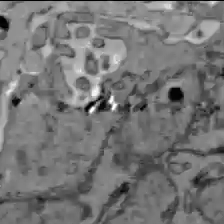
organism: C57BL Mouse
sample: Liver